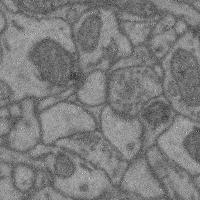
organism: Mouse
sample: Cerebral cortex